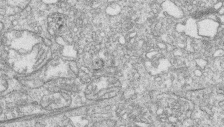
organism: Human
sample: HeLa cell HIV synapse